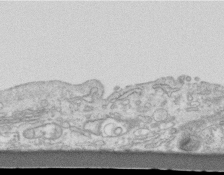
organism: Mouse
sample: Centriole in ependymal cells